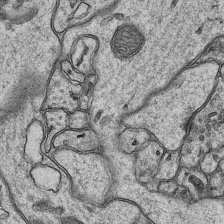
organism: Mouse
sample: CA1 Hippocampus